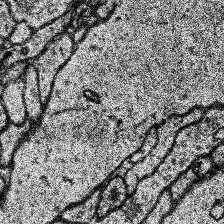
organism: Human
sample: Temporal Lobe